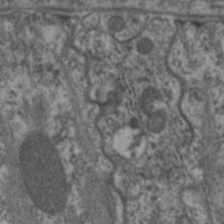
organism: C. elegans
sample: Pharynx